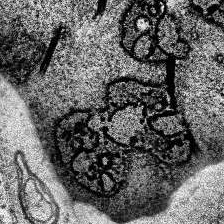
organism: Human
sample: Temporal Lobe